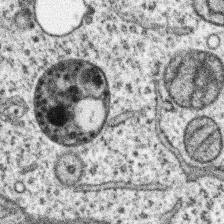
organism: Human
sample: HeLa cells